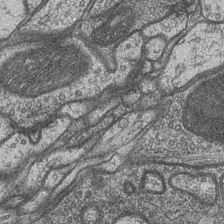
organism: Drosophila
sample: Optic medulla